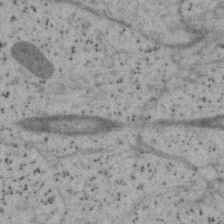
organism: Human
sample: HeLa cells